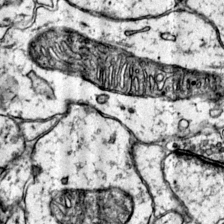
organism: Mouse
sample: Primary visual cortex